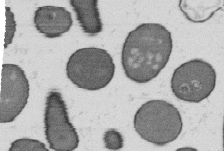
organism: B. subtilis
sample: Bacterial spore